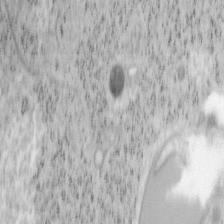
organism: Human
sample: HeLa cells